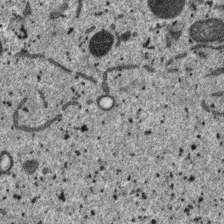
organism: Human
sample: Lung epithelial cells infected with SARS-CoV-2